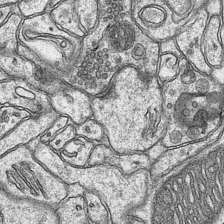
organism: Mouse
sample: CA1 Hippocampus